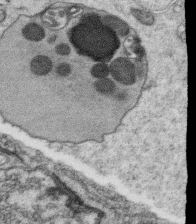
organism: C. elegans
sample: C. elegans oocyte; sperm cells